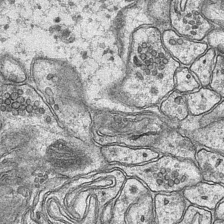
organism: Mouse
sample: CA1 Hippocampus